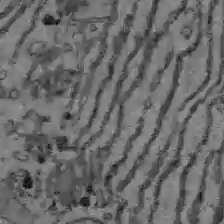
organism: C57BL Mouse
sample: Liver